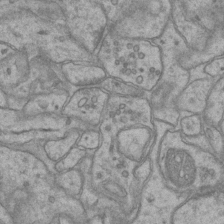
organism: Mouse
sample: CA1 Hippocampus